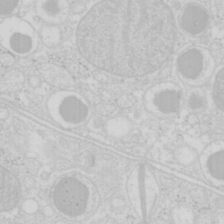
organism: Mouse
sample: Pancreas